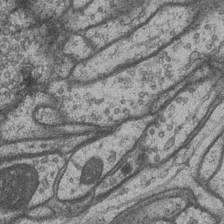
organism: Drosophila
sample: Optic medulla